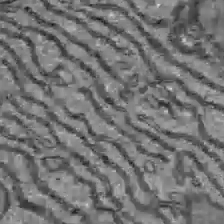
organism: C57BL Mouse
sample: Liver